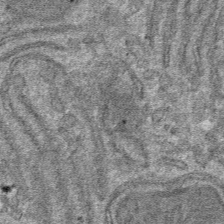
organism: Mouse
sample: Mouse hepatocytes